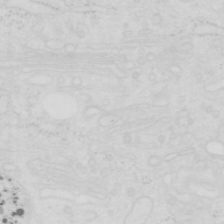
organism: Human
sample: SUM-159 cell